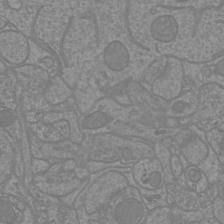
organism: Mouse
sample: Cortical neurons